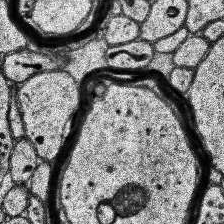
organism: Human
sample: Temporal Lobe